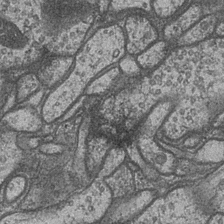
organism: Drosophila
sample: Optic medulla